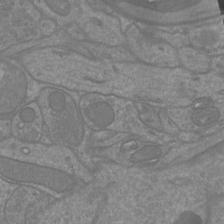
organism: Mouse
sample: Cortical neurons